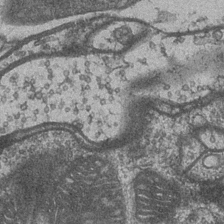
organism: Drosophila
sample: Optic medulla